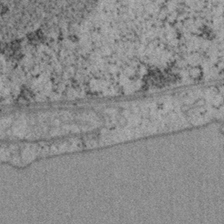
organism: Human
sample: HeLa cells